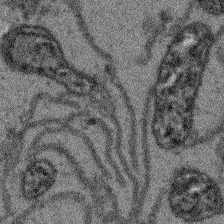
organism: Arabidopsis thaliana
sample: Root tip